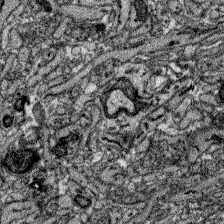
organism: Zebrafish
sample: Larval olfactory bulb